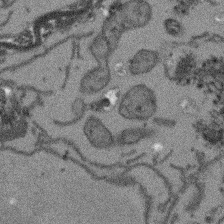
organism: Arabidopsis thaliana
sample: Root tip